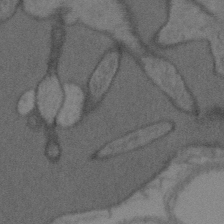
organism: Human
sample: HeLa cells